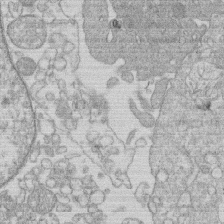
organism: Human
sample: Macrophage cells